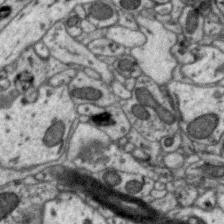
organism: Zebra finch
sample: Brain